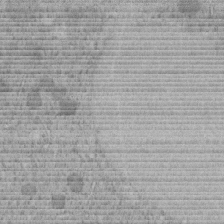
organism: C. elegans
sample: C. elegans embryo early stage